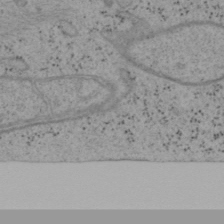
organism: Human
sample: HeLa cells